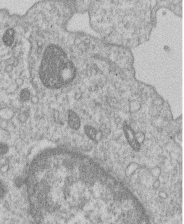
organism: Human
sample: Macrophage cells